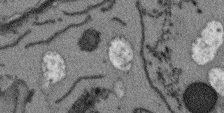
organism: Arabidopsis thaliana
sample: Root tip